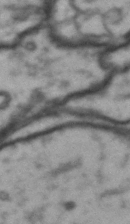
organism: Drosophila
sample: Brain